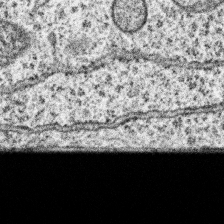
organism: Human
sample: HeLa cells